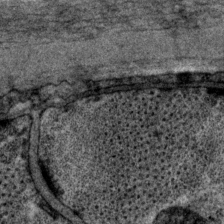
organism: P. pacificus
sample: Pharynx